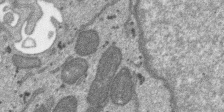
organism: Human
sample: Lung epithelial cells infected with SARS-CoV-2